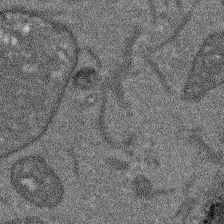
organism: Arabidopsis thaliana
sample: Root tip